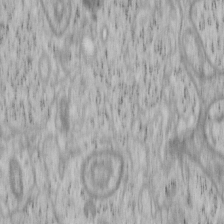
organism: Human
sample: HeLa cells